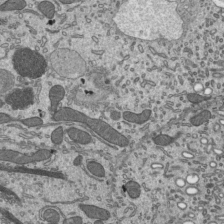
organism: Mouse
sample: Mouse epididymis efferent ductule cilia